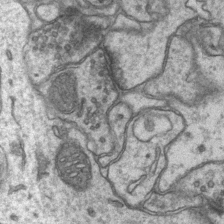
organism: Mouse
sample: CA1 Hippocampus